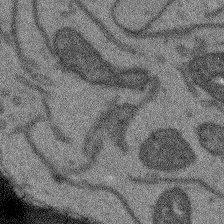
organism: Arabidopsis thaliana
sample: Root tip